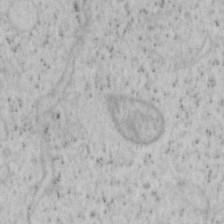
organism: Human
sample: HeLa cells